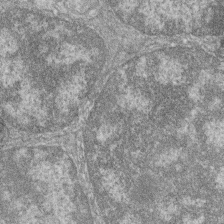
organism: Zebrafish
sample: Cilia; retinal pigment epithelium